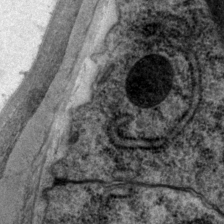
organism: P. pacificus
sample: Pharynx